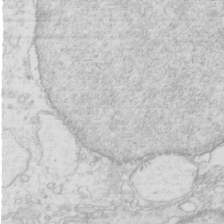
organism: Mouse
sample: Multiciliated cells